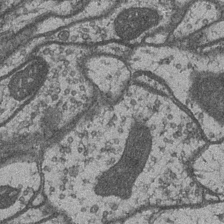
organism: Drosophila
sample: Optic medulla